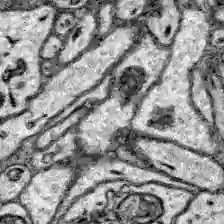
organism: Zebrafish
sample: Brain